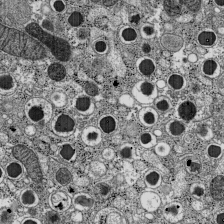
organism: C57BL Mouse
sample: Pancreatic islet